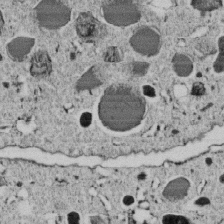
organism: C. elegans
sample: C. elegans embryo early stage